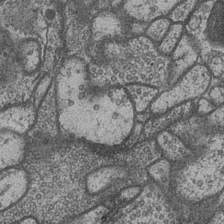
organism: Drosophila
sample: Optic medulla